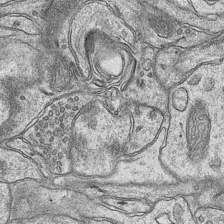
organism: Mouse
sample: CA1 Hippocampus